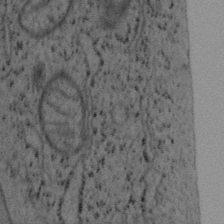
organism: Human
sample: HeLa cells